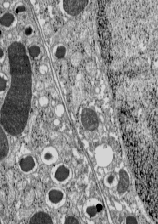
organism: C57BL Mouse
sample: Pancreatic islet